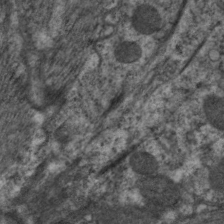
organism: C. elegans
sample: Pharynx